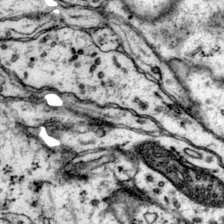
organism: Mouse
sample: Primary visual cortex